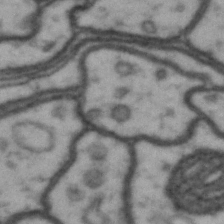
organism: Drosophila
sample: Brain